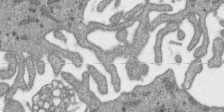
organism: Human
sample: Lung epithelial cells infected with SARS-CoV-2